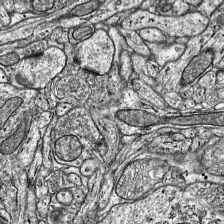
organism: Mouse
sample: Visual Cortex